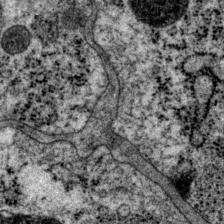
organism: P. pacificus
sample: Pharynx